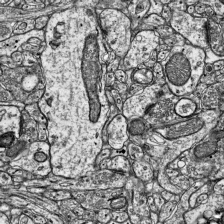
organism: Mouse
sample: Visual Cortex